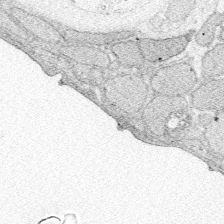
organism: Zebrafish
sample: Whole-Brain